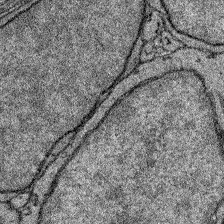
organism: Zebrafish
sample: Larval olfactory bulb